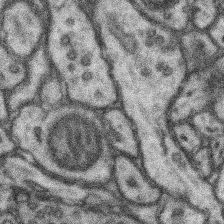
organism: Mouse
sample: Somatosensory cortex neuropil